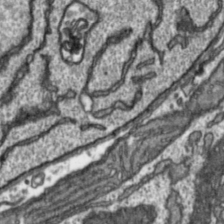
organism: Toxoplasma gondii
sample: Parasites in a vacuole inside a host cell